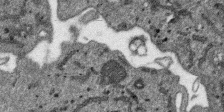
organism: Human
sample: Lung epithelial cells infected with SARS-CoV-2